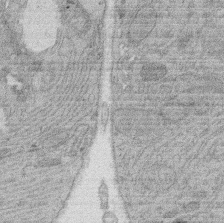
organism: Rat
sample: Salivary granule